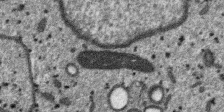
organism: Human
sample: Lung epithelial cells infected with SARS-CoV-2